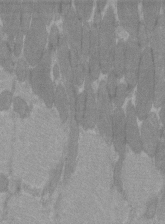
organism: C57BL Mouse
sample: Tibialis anterior muscle cell